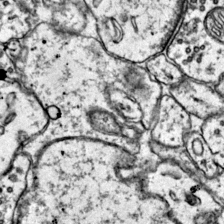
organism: Mouse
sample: Primary visual cortex